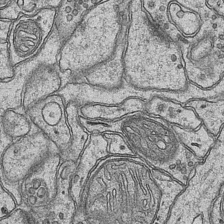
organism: Mouse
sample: CA1 Hippocampus